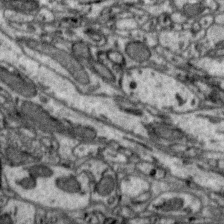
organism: Zebra finch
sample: Brain